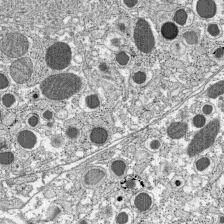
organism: C57BL Mouse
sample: Pancreatic islet